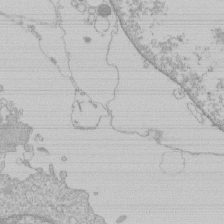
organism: Human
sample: Macrophage cells